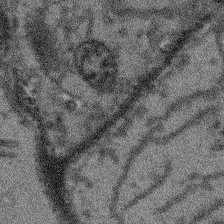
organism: Arabidopsis thaliana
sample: Root tip